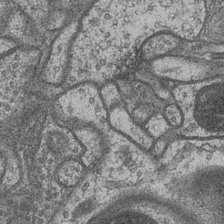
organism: Drosophila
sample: Optic medulla